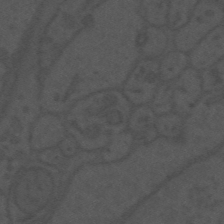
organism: Mouse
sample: Suprachiasmatic nucleus